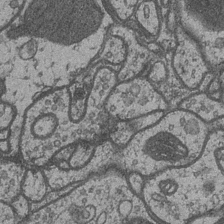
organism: Drosophila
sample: Optic medulla